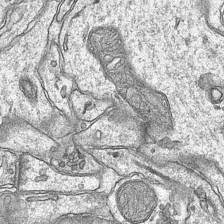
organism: Mouse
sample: CA1 Hippocampus